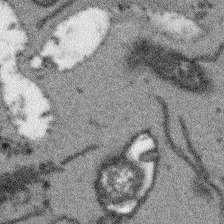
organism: Arabidopsis thaliana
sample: Root tip